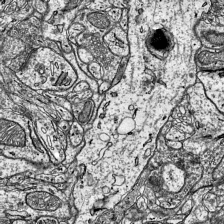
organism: Mouse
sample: Visual Cortex